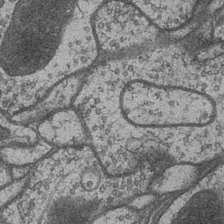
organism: Drosophila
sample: Optic medulla